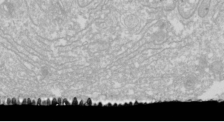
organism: Drosophila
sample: Cell division; meiosis; drosophila spermatocytes